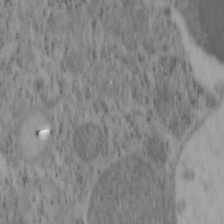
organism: Mouse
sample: OT-I killer T cells with ID8 ovarian cancer cells